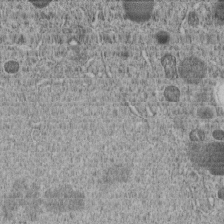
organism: C. elegans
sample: C. elegans embryo early stage